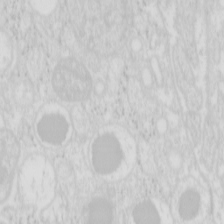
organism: Mouse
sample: Pancreas